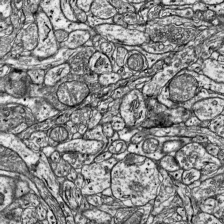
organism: Mouse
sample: Visual Cortex